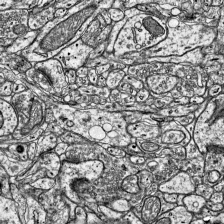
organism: Mouse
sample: Visual Cortex